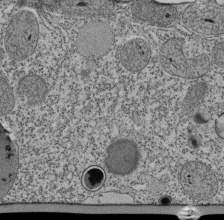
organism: Tetrahymena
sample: Cilia in tetrahymena